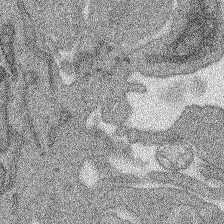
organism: Human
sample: HeLa cells